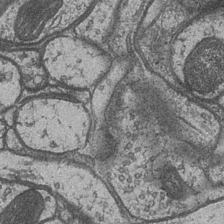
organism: Drosophila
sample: Optic medulla